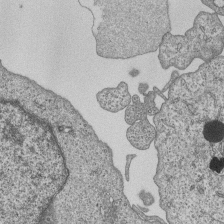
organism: Human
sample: MDA-MB-231 cells